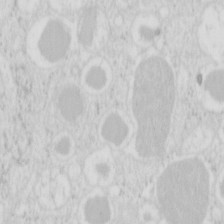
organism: Mouse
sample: Pancreas